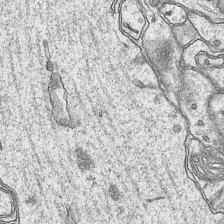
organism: Mouse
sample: CA1 Hippocampus